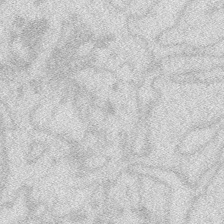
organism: Zebrafish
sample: Macrophage